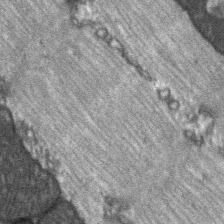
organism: C57BL Mouse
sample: Soleus